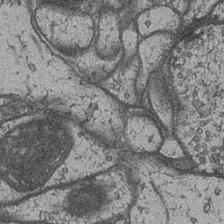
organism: Drosophila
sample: Optic medulla